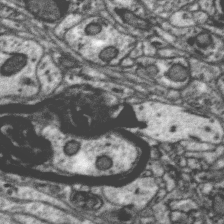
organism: Zebra finch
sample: Brain